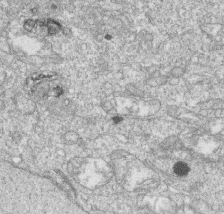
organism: Human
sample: HeLa cell HIV synapse